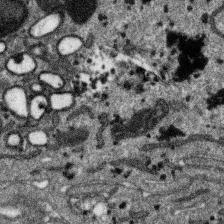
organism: Human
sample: Lung epithelial cells infected with SARS-CoV-2